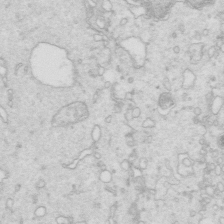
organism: Mouse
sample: Multiciliated cells